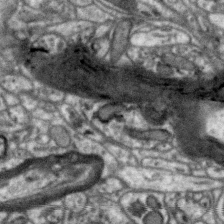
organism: Zebra finch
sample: Brain